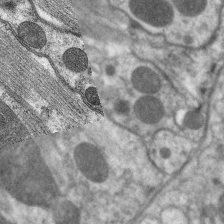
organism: C. elegans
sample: Pharynx